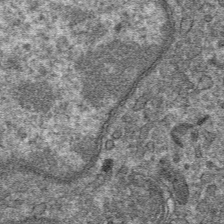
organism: Mouse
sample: Mouse hepatocytes